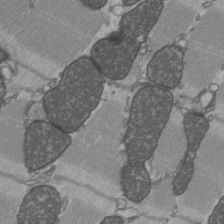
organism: C57BL Mouse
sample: Heart